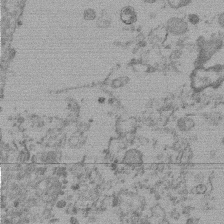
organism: Mouse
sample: Dividing mouse embryo 1 cell stage